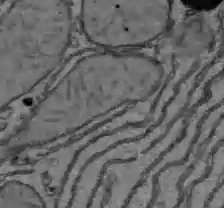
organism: C57BL Mouse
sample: Liver